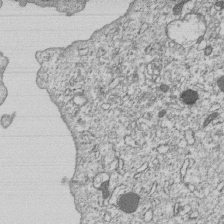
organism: Human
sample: MDA-MB-231 cells